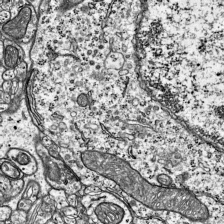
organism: Mouse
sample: Visual Cortex